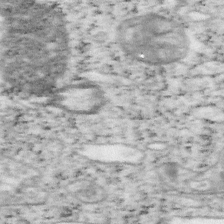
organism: Mouse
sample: OT-I killer T cells with ID8 ovarian cancer cells